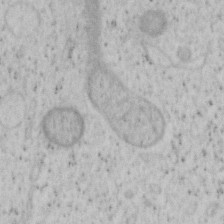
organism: Human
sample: HeLa cells